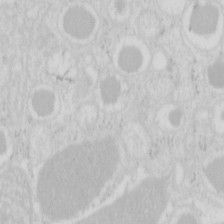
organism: Mouse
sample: Pancreas